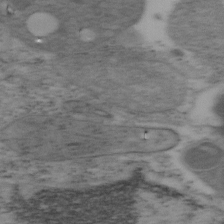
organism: Mouse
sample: OT-I killer T cells with ID8 ovarian cancer cells